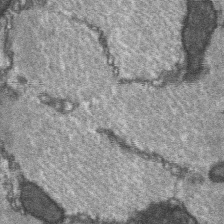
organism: C57BL Mouse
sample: Soleus